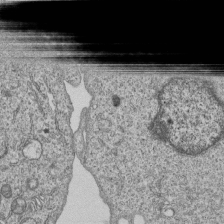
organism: Human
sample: MDA-MB-231 cells